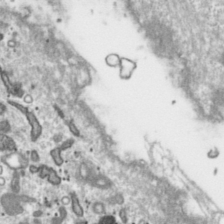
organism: Toxoplasma gondii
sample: Parasites in a vacuole inside a host cell